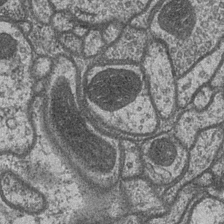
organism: Drosophila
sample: Optic medulla